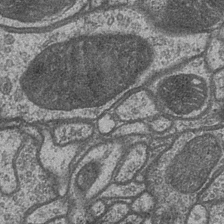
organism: Drosophila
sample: Optic medulla